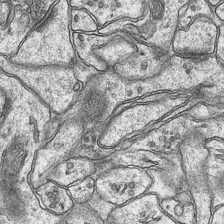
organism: Mouse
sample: CA1 Hippocampus